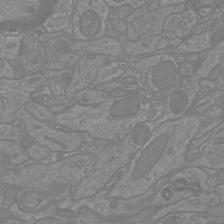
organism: Mouse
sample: Cortical neurons